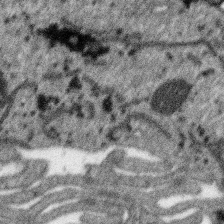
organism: Human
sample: Lung epithelial cells infected with SARS-CoV-2